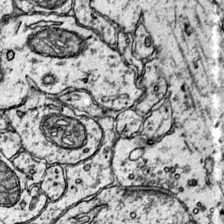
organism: Mouse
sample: Primary visual cortex